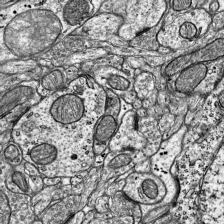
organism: Mouse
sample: Visual Cortex